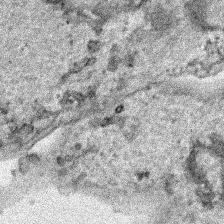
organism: Human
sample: Mitochondria in HCT116 cells